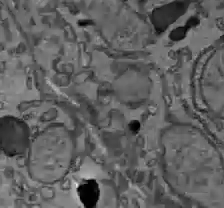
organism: C57BL Mouse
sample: Liver